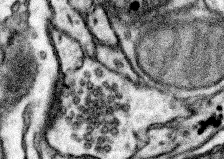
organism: Mouse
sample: Somatosensory cortex neuropil